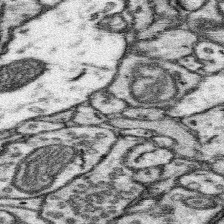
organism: Mouse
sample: Somatosensory cortex neuropil